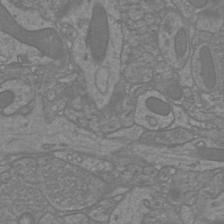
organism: Mouse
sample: Cortical neurons